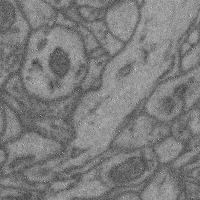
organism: Mouse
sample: Cerebral cortex